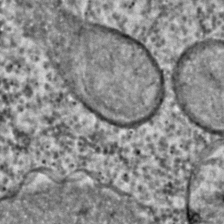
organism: C. elegans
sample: C. elegans embryo